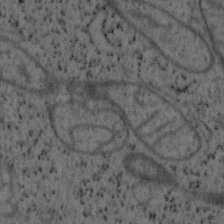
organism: Human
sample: HeLa cells